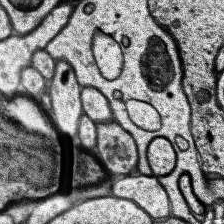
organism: Human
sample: Temporal Lobe